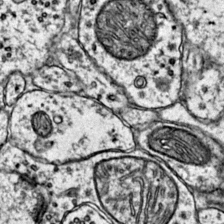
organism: Mouse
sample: Primary visual cortex